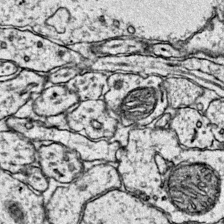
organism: Mouse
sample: Primary visual cortex